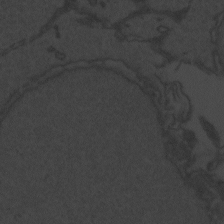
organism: Zebrafish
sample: Macrophage infected with Toxoplasma gondii